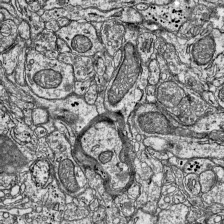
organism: Mouse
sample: Visual Cortex